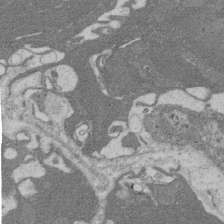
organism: Rat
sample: Salivary granule